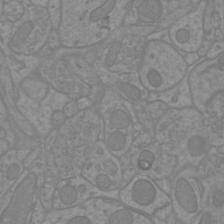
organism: Mouse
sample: Cortical neurons